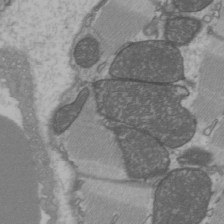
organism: C57BL Mouse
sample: Heart